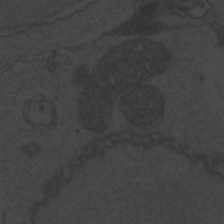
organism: Zebrafish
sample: Macrophage infected with Toxoplasma gondii